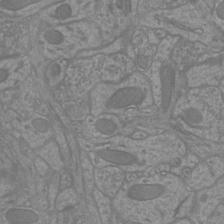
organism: Mouse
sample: Cortical neurons